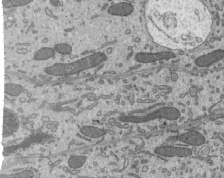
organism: Mouse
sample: Mouse epididymis efferent ductule cilia